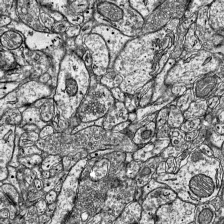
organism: Mouse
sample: Visual Cortex